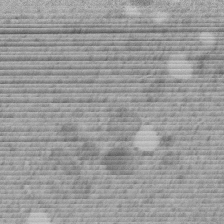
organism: C. elegans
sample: C. elegans embryo early stage